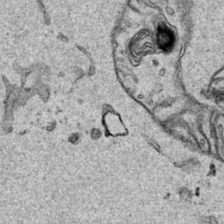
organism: Human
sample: Mitochondria in HCT116 cells